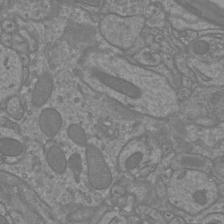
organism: Mouse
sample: Cortical neurons